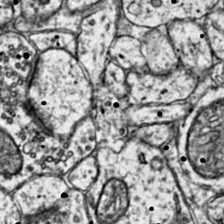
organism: Mouse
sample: Primary visual cortex